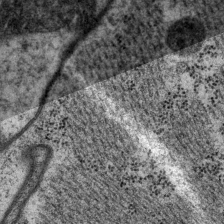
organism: P. pacificus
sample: Pharynx